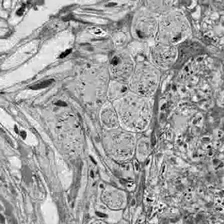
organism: Drosophila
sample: Optic lobe